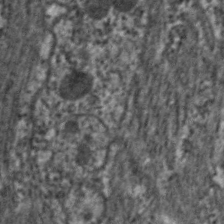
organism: C. elegans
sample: Pharynx